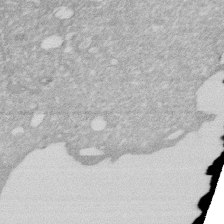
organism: Human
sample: HIV infected U937 cells